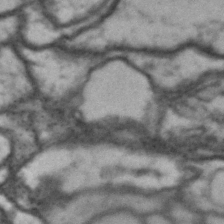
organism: Drosophila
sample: Brain